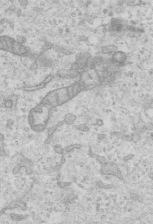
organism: Mouse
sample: Centriole in ependymal cells